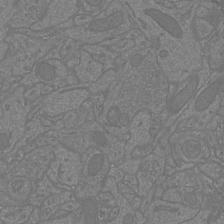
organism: Mouse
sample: Cortical neurons